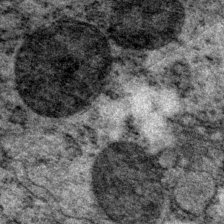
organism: P. pacificus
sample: Pharynx